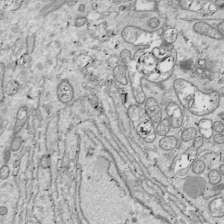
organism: Drosophila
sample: Cell division; meiosis; drosophila spermatocytes